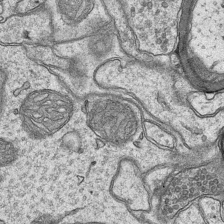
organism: Mouse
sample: CA1 Hippocampus